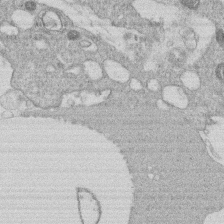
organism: Human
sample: Macrophage cells